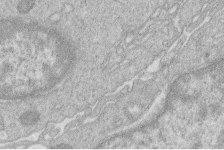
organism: Human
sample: Macrophage cells